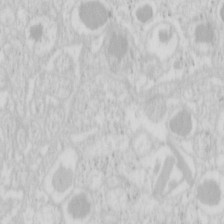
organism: Mouse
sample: Pancreas